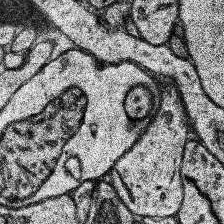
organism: Human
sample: Temporal Lobe